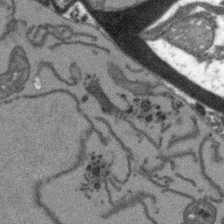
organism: Arabidopsis thaliana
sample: Root tip